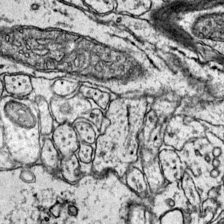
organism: Mouse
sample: Primary visual cortex